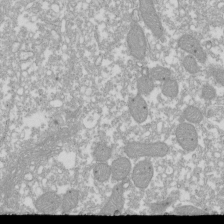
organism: Xenopus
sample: Cilia; centrioles in frog embryo cells